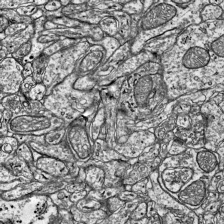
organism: Mouse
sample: Visual Cortex